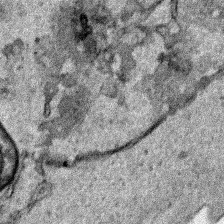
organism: Human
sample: Mitochondria in HCT116 cells